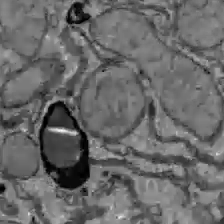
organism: C57BL Mouse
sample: Liver